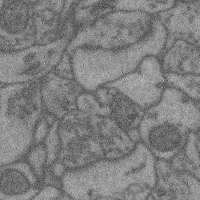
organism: Mouse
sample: Cerebral cortex